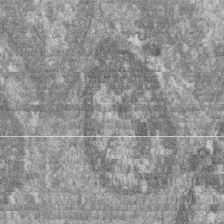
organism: Zebrafish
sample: Cilia; retinal pigment epithelium